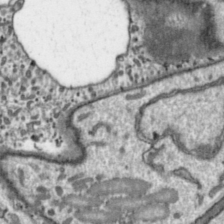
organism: Toxoplasma gondii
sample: Parasites in a vacuole inside a host cell